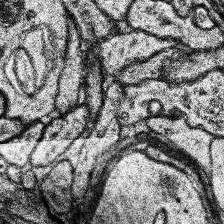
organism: Human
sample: Temporal Lobe